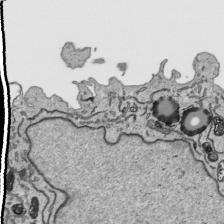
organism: Human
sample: Mitochondria in HCT116 cells